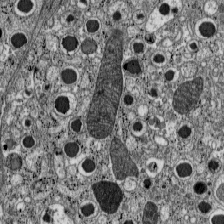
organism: C57BL Mouse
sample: Pancreatic islet